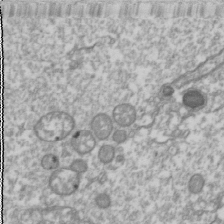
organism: Drosophila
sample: Cell division; meiosis; drosophila spermatocytes